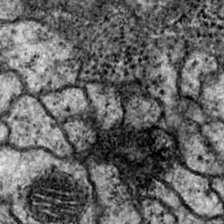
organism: Drosophila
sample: Ventral Nerve Cord